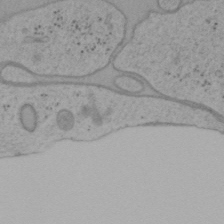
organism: Human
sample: HeLa cells